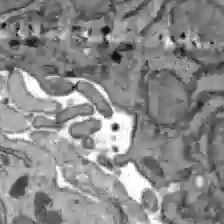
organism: C57BL Mouse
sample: Liver